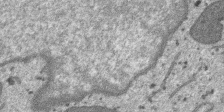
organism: Human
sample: Lung epithelial cells infected with SARS-CoV-2